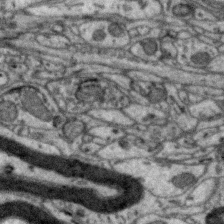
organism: Zebra finch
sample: Brain